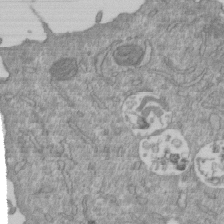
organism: Mouse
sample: ED-1 cell nuclei; centrioles